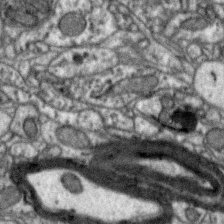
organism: Zebra finch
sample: Brain